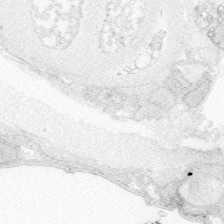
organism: Zebrafish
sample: Whole-Brain